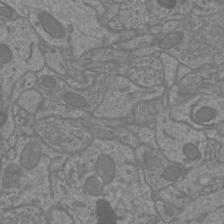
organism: Mouse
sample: Cortical neurons